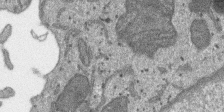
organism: Human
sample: Lung epithelial cells infected with SARS-CoV-2